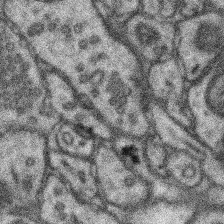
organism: Mouse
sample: Somatosensory cortex neuropil